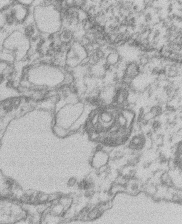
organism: Mouse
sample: T cell stromal cell synapse